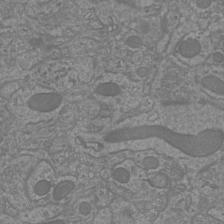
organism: Mouse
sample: Cortical neurons